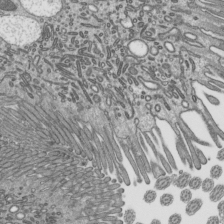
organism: Mouse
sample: Mouse epididymis efferent ductule cilia